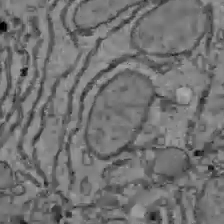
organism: C57BL Mouse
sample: Liver